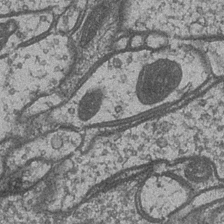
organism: Drosophila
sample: Optic medulla